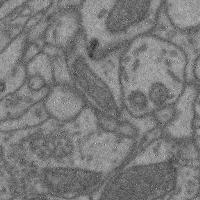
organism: Mouse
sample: Cerebral cortex